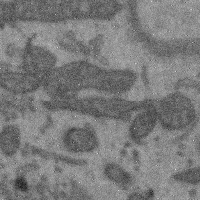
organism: Mouse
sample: Cerebral cortex